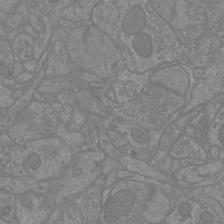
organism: Mouse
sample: Cortical neurons